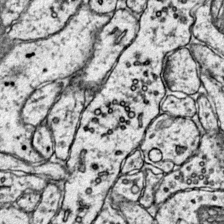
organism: Mouse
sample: Primary visual cortex